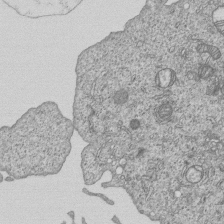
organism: Human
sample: MDA-MB-231 cells